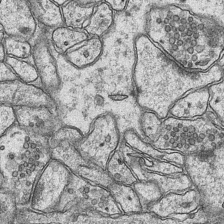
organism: Mouse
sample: CA1 Hippocampus